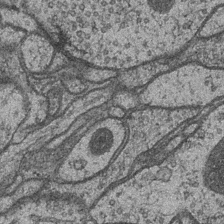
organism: Drosophila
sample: Optic medulla